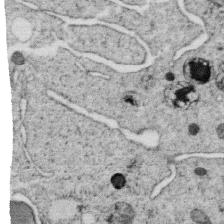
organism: C. elegans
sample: C. elegans oocyte; sperm cells